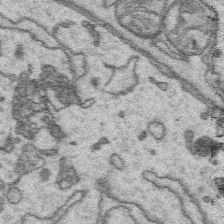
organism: Platynereis dumerilii